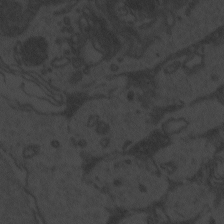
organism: Zebrafish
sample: Macrophage infected with Toxoplasma gondii